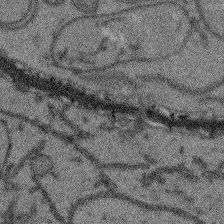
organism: Arabidopsis thaliana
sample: Root tip